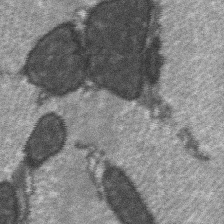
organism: C57BL Mouse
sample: Soleus